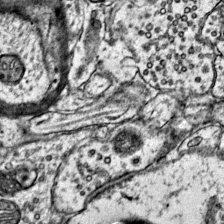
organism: Mouse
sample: Primary visual cortex